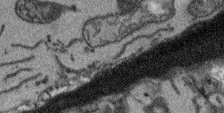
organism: Arabidopsis thaliana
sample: Root tip